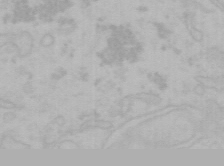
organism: Mouse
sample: Choroid plexus